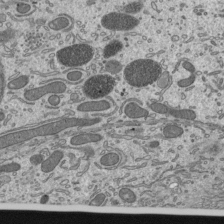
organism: Mouse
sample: Mouse epididymis efferent ductule cilia